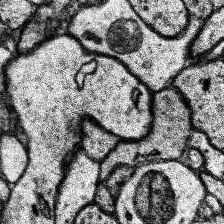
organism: Human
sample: Temporal Lobe